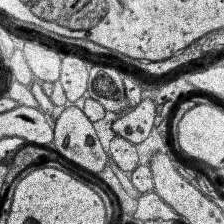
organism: Human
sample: Temporal Lobe